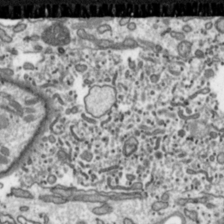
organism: Toxoplasma gondii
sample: Parasites in a vacuole inside a host cell